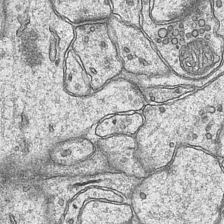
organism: Mouse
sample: CA1 Hippocampus